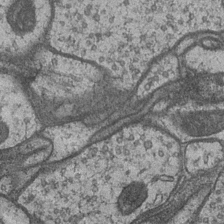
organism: Drosophila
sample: Optic medulla